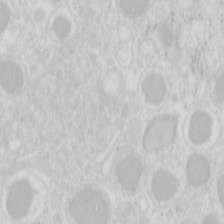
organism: Mouse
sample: Pancreas